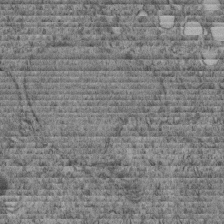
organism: C. elegans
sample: C. elegans embryo early stage